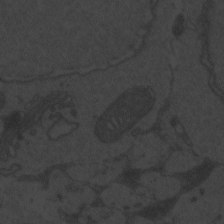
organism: Zebrafish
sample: Macrophage infected with Toxoplasma gondii